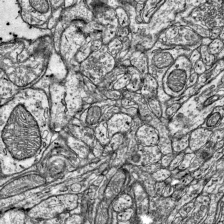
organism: Mouse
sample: Visual Cortex